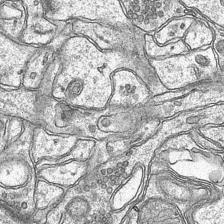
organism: Mouse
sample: CA1 Hippocampus